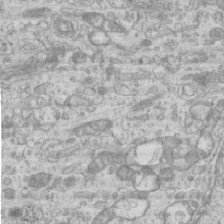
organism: Mouse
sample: Centriole in ependymal cells